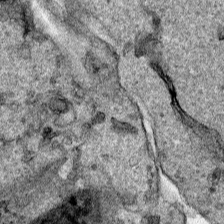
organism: Human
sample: Mitochondria in HCT116 cells